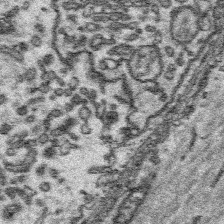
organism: Platynereis dumerilii